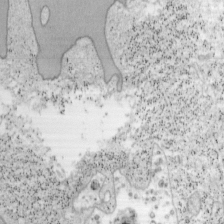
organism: Mouse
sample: OT-I killer T cells with ID8 ovarian cancer cells